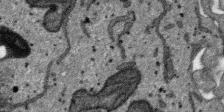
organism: Human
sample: Lung epithelial cells, uninfected (mock) control